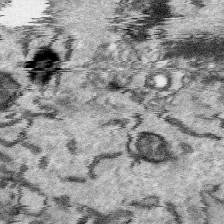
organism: Human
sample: HeLa cells